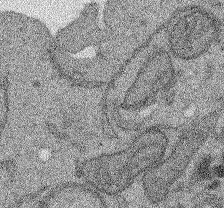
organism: Human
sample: HeLa cells